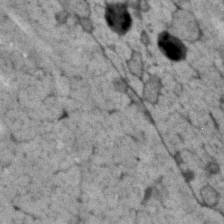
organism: Human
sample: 1205lu cells